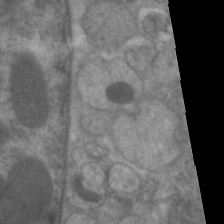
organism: C. elegans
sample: Pharynx